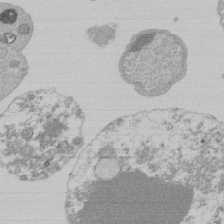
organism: Mouse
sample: Activated Pmel transgenic CD8+ T Cells